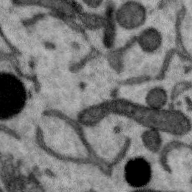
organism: Zebra finch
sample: Brain